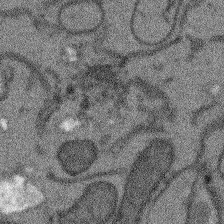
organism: Arabidopsis thaliana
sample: Root tip